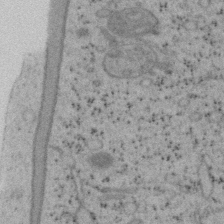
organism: Human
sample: HeLa cells